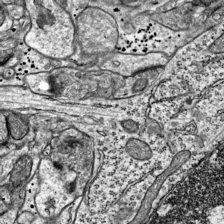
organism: Mouse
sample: Visual Cortex